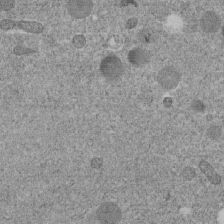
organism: C. elegans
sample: C. elegans embryo early stage